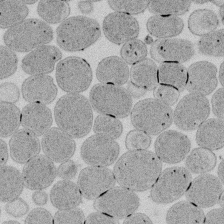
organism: E. coli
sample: Bacterial nucleoid